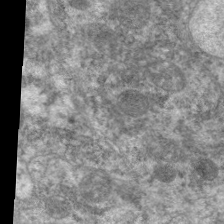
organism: C. elegans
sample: Pharynx